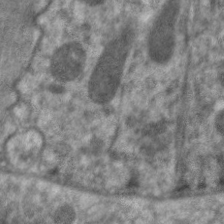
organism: C. elegans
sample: Pharynx